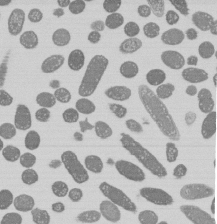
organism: E. coli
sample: Bacterial nucleoid